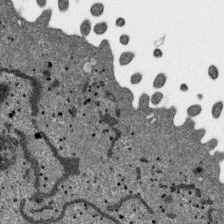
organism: Human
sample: Lung epithelial cells, uninfected (mock) control